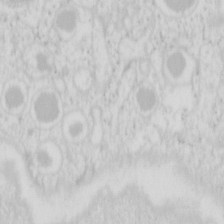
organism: Mouse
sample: Pancreas